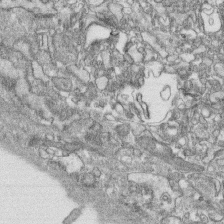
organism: Human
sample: CRL-1474